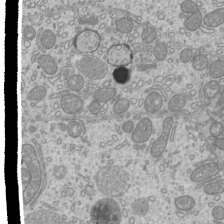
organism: Mouse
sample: Cilia; mouse epididymis